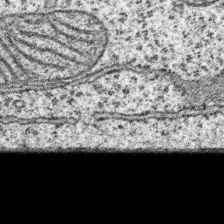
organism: Human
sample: HeLa cells